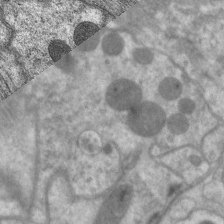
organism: C. elegans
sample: Pharynx